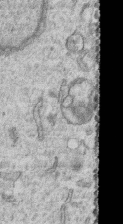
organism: Human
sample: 1205lu cells